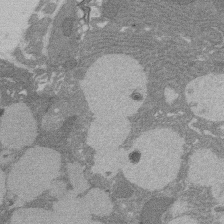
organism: Rat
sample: Salivary granule